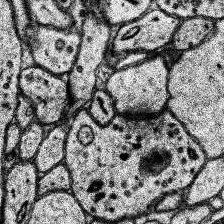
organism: Human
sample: Temporal Lobe